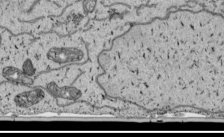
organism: Human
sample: Mitochondria in HCT116 cells